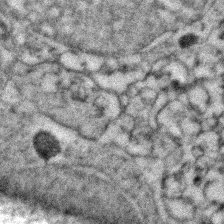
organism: Zebrafish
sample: Zebrafish embryo